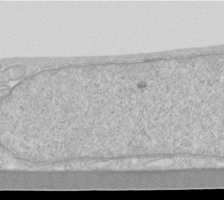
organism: Human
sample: Fibroblast cells